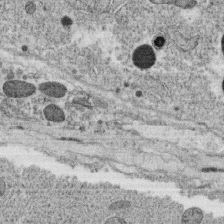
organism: C. elegans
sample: C. elegans oocyte; sperm cells